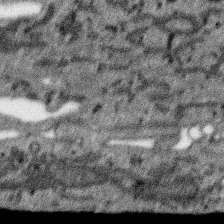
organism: Human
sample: Lung epithelial cells infected with SARS-CoV-2